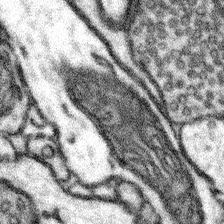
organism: Mouse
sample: Somatosensory cortex neuropil